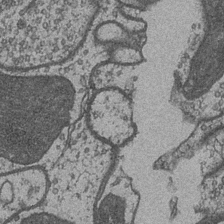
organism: Drosophila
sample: Optic medulla